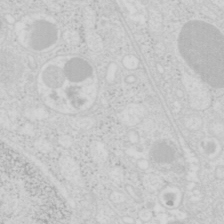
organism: Mouse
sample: Pancreas